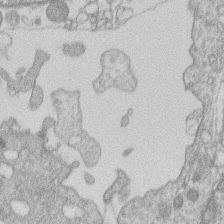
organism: Human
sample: Macrophage cells